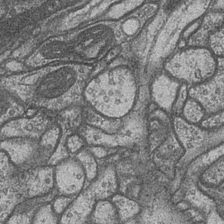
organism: Drosophila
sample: Optic medulla